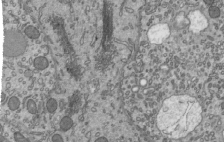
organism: Mouse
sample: Mouse epididymis efferent ductule cilia